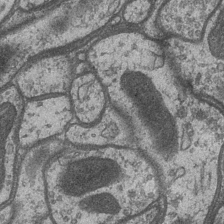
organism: Drosophila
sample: Optic medulla